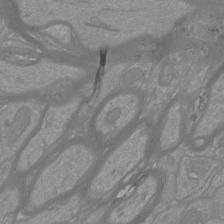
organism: Mouse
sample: Cortical neurons